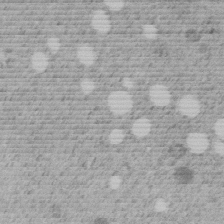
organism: C. elegans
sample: C. elegans embryo early stage